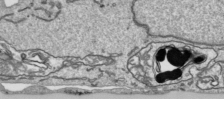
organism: Human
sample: Mitochondria in HCT116 cells